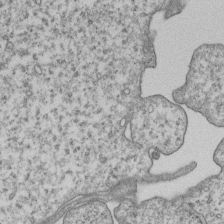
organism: Human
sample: MDA-MB-231 cells